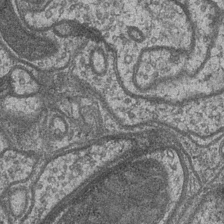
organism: Drosophila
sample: Optic medulla